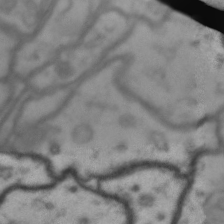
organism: Drosophila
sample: Brain